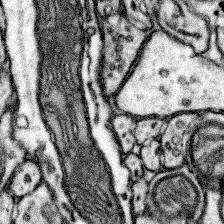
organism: Mouse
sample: Somatosensory cortex neuropil